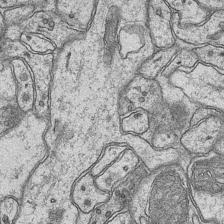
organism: Mouse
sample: CA1 Hippocampus